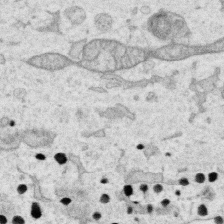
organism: Human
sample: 1205lu cells